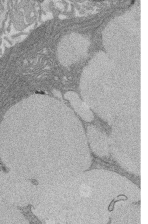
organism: Rat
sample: Salivary granule